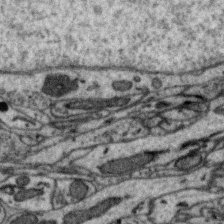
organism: Zebra finch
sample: Brain